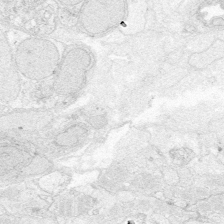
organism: Zebrafish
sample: Whole-Brain